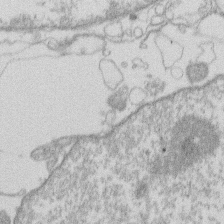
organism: Human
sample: Macrophage cells